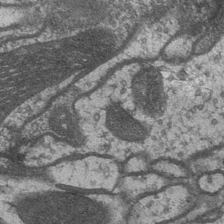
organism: Drosophila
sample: Optic medulla